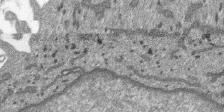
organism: Human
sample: Lung epithelial cells infected with SARS-CoV-2